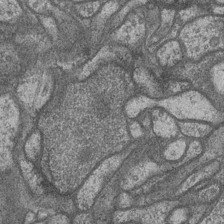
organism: Drosophila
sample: Optic medulla